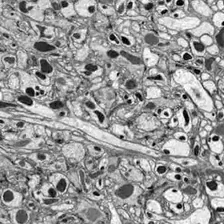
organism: Drosophila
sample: Optic lobe